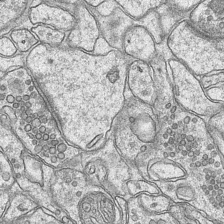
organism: Mouse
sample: CA1 Hippocampus